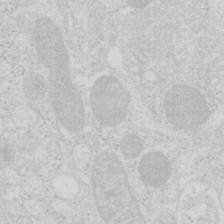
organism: Mouse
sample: Pancreas